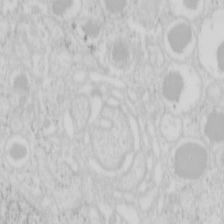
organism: Mouse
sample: Pancreas